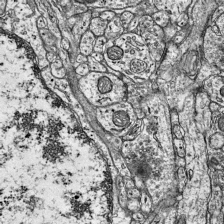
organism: Mouse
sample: Visual Cortex